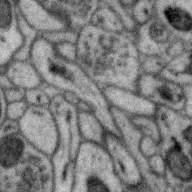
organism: Zebra finch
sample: Brain